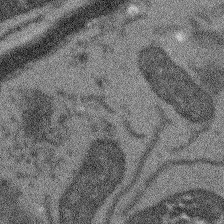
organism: Arabidopsis thaliana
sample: Root tip